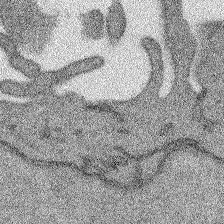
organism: Human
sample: HeLa cells